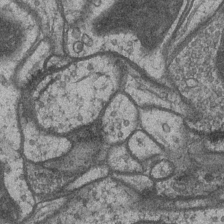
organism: Drosophila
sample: Optic medulla